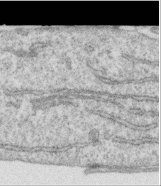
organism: Human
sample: Centriole in RPE cells